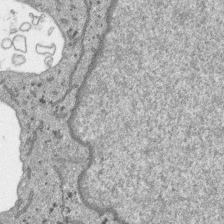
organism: Human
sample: Lung epithelial cells infected with SARS-CoV-2